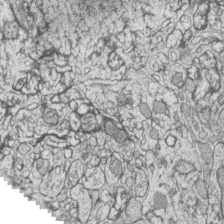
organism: Zebrafish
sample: synaptic ribbons in rod cells and cone cells